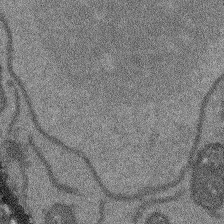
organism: Arabidopsis thaliana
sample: Root tip